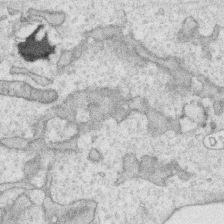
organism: Human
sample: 1205lu cells